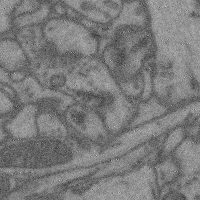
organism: Mouse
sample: Cerebral cortex